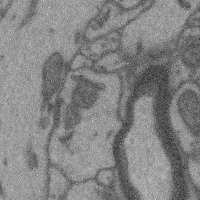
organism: Mouse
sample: Cerebral cortex